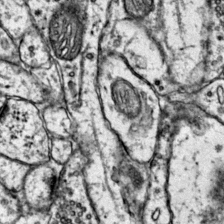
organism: Mouse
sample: Primary visual cortex